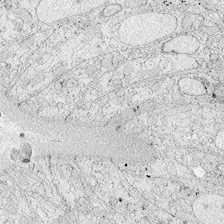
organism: Zebrafish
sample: Whole-Brain